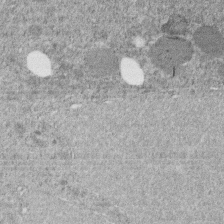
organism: C. elegans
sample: C. elegans embryo early stage